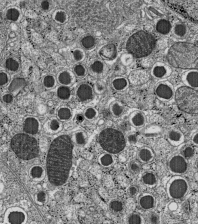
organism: C57BL Mouse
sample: Pancreatic islet